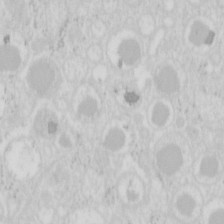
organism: Mouse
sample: Pancreas